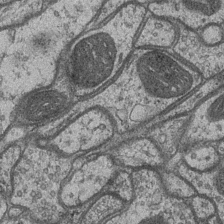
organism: Drosophila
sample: Optic medulla